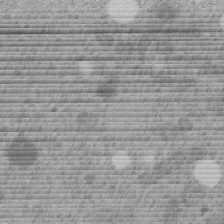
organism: C. elegans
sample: C. elegans embryo early stage